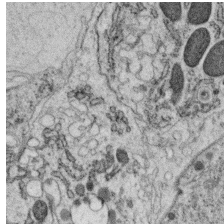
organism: C. elegans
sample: C. elegans oocyte; sperm cells